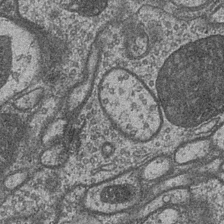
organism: Drosophila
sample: Optic medulla